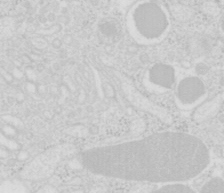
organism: Mouse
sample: Pancreas